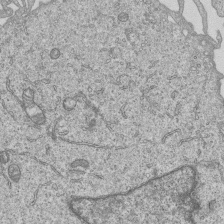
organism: Human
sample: MDA-MB-231 cells